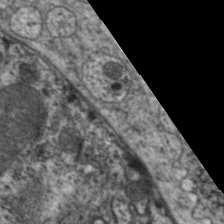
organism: C. elegans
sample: Pharynx